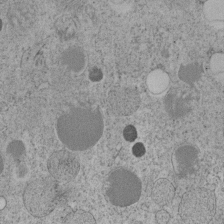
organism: C. elegans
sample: C. elegans embryo early stage